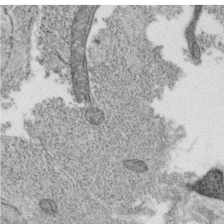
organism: C. elegans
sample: C. elegans oocyte; sperm cells